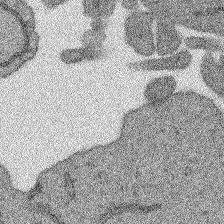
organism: Human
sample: HeLa cells